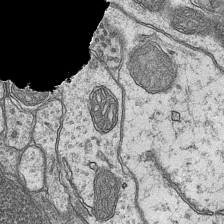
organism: Mouse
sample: CA1 Hippocampus